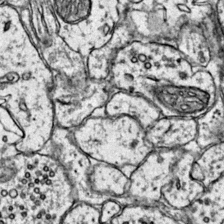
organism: Mouse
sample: Primary visual cortex